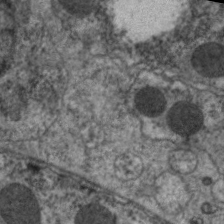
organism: C. elegans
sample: Pharynx